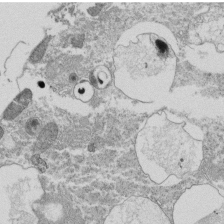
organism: Tetrahymena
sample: Cilia in tetrahymena